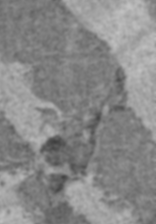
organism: C57BL Mouse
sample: Heart